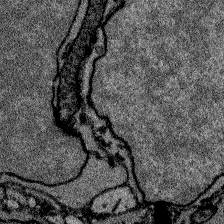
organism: Zebrafish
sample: Larval olfactory bulb